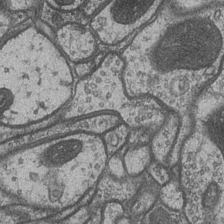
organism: Drosophila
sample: Optic medulla